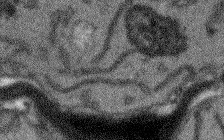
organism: Arabidopsis thaliana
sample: Root tip